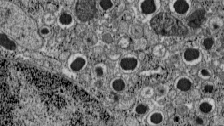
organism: C57BL Mouse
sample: Pancreatic islet